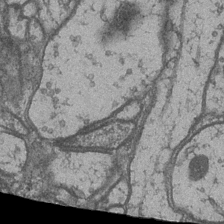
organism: Drosophila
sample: Optic medulla